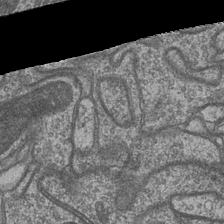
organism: Drosophila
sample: Optic medulla